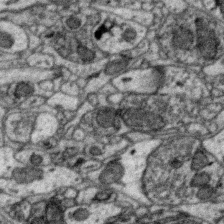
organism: Zebra finch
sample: Brain